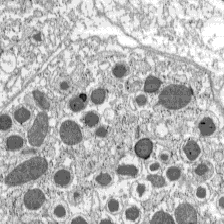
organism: C57BL Mouse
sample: Pancreatic islet